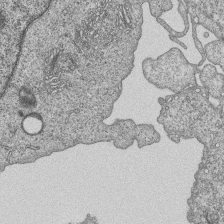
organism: Human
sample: MDA-MB-231 cells